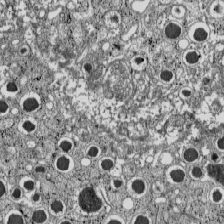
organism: C57BL Mouse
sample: Pancreatic islet